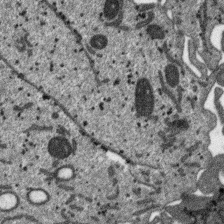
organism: Human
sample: Lung epithelial cells infected with SARS-CoV-2